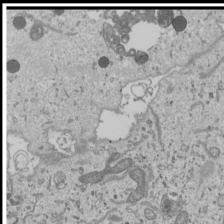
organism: Human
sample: Mitochondria in U2OS cells